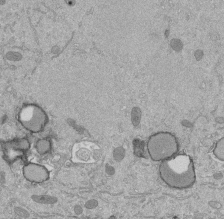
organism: Mouse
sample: ED-1 cell nuclei; centrioles